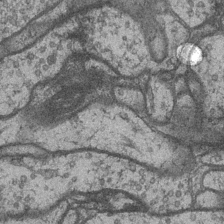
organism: Drosophila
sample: Optic medulla